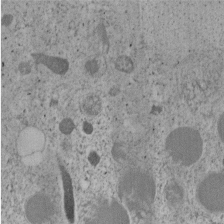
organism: C. elegans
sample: C. elegans embryo early stage